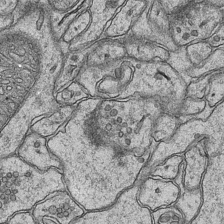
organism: Mouse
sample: CA1 Hippocampus